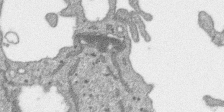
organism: Human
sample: Lung epithelial cells infected with SARS-CoV-2